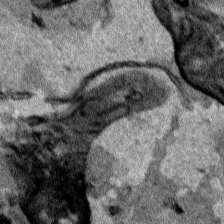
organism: Human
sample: Mitochondria in HCT116 cells